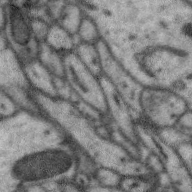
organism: Zebra finch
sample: Brain